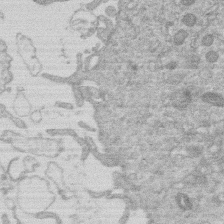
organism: Human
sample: Macrophage cells